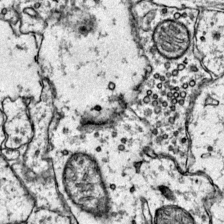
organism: Mouse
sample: Primary visual cortex